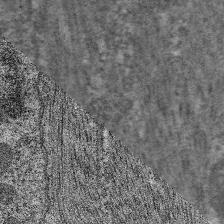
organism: C. elegans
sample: Pharynx